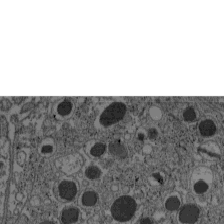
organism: C57BL Mouse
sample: Pancreatic islet